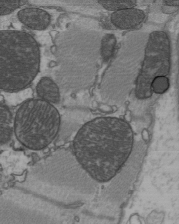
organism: C57BL Mouse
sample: Heart